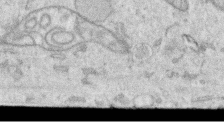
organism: Human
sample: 1205lu cells